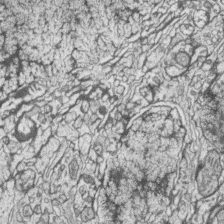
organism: Zebrafish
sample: synaptic ribbons in rod cells and cone cells